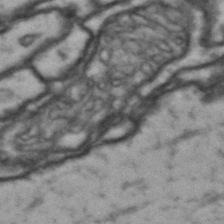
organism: Drosophila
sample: Brain